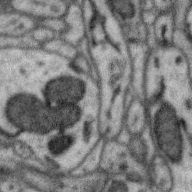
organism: Zebra finch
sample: Brain